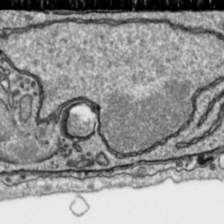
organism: Toxoplasma gondii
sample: Parasites in a vacuole inside a host cell